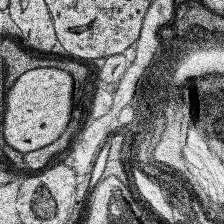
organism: Human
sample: Temporal Lobe